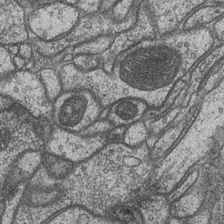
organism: Drosophila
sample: Optic medulla